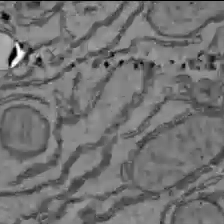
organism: C57BL Mouse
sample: Liver